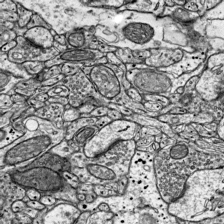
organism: Mouse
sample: Visual Cortex